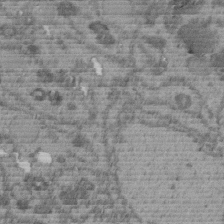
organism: C. elegans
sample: C. elegans embryo early stage